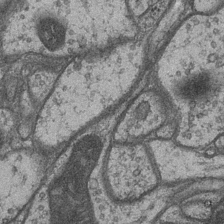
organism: Drosophila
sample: Optic medulla